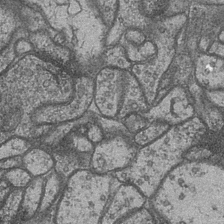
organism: Drosophila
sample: Optic medulla